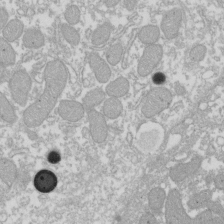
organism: Xenopus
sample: Cilia; centrioles in frog embryo cells